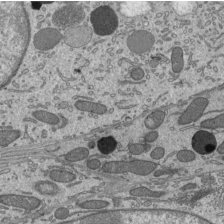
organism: Mouse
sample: Mouse epididymis efferent ductule cilia